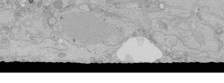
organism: Human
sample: Caco-2 cells